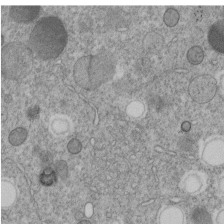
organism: C. elegans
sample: C. elegans embryo early stage